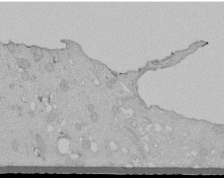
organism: Human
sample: Melanocyte Keratinocyte synapse skin construct